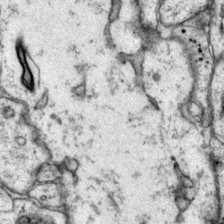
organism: Mouse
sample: Primary visual cortex